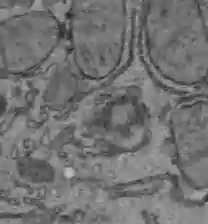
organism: C57BL Mouse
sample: Liver